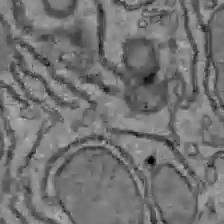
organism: C57BL Mouse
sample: Liver